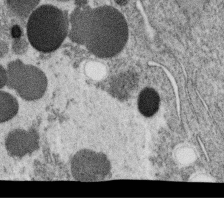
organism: C. elegans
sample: C. elegans oocyte; sperm cells